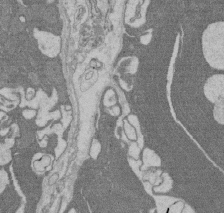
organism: Rat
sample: Salivary granule